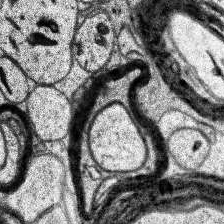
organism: Human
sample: Temporal Lobe